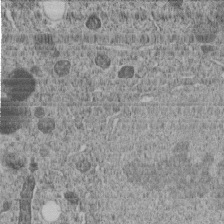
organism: C. elegans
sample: C. elegans embryo early stage